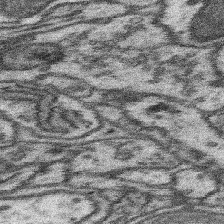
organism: Mouse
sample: Somatosensory cortex neuropil